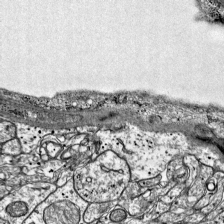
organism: Mouse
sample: Visual Cortex